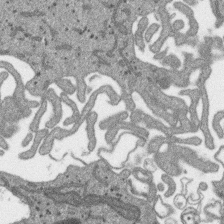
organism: Human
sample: Lung epithelial cells infected with SARS-CoV-2